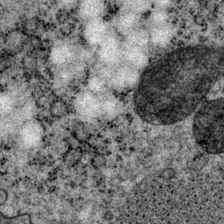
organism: P. pacificus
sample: Pharynx